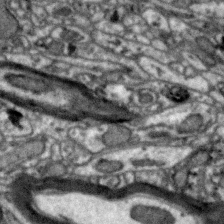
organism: Zebra finch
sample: Brain